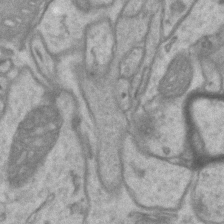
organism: Mouse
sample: CA1 Hippocampus